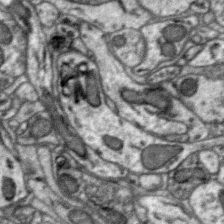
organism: Zebra finch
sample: Brain